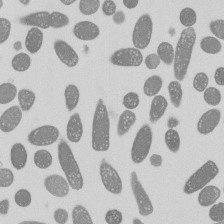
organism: E. coli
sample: Bacterial nucleoid